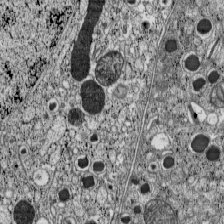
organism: C57BL Mouse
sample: Pancreatic islet